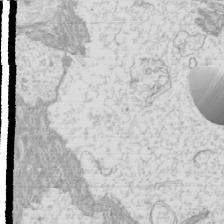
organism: Mouse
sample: Cilia; mouse epididymis